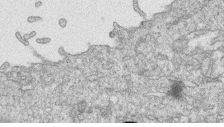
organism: Human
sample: HeLa cell HIV synapse